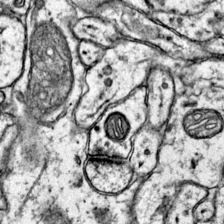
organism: Mouse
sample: Primary visual cortex